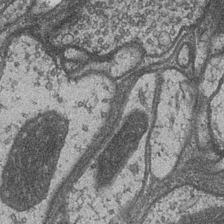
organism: Drosophila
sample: Optic medulla